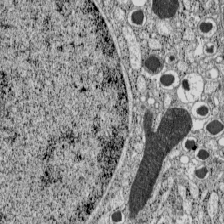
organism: C57BL Mouse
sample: Pancreatic islet